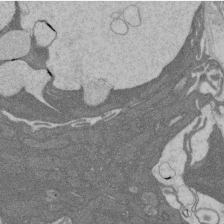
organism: Rat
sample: Salivary granule